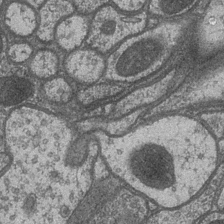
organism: Drosophila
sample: Optic medulla